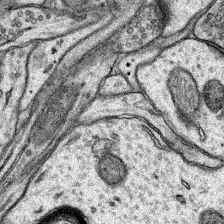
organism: Rat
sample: Hippocampus